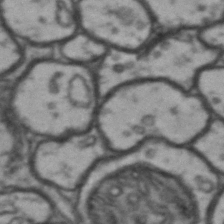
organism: Drosophila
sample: Brain